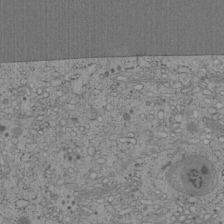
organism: African green monkey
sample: COS-7 cells